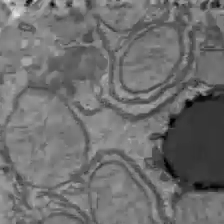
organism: C57BL Mouse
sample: Liver